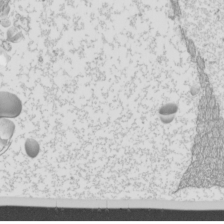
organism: Mouse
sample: Cilia; mouse epididymis